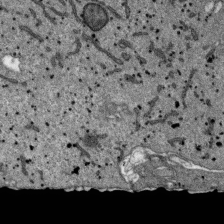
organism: Human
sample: Lung epithelial cells, uninfected (mock) control